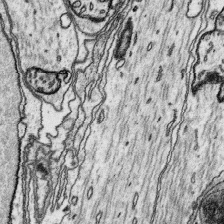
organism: Platynereis dumerilii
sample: Parapodia